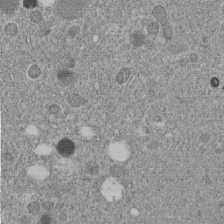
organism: C. elegans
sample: C. elegans embryo early stage